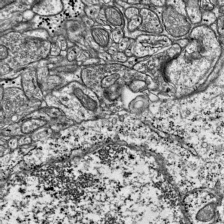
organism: Mouse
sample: Visual Cortex